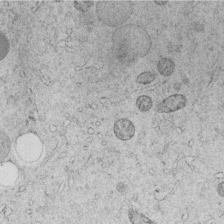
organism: C. elegans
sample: C. elegans embryo early stage